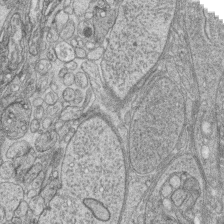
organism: Zebrafish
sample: synaptic ribbons in rod cells and cone cells